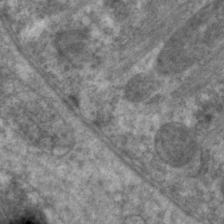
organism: C. elegans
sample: Pharynx